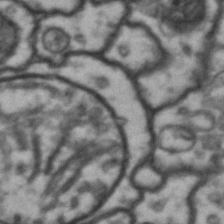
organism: Drosophila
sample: Brain